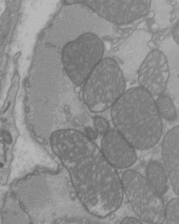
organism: C57BL Mouse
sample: Heart